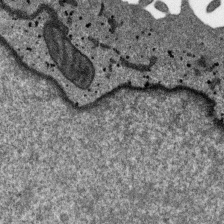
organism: Human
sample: Lung epithelial cells, uninfected (mock) control